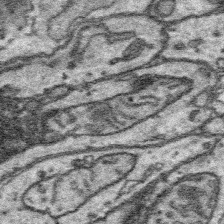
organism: Platynereis dumerilii